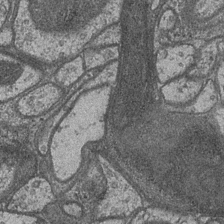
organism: Drosophila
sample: Optic medulla